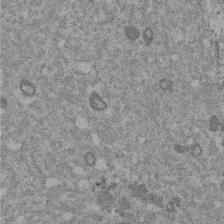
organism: Mouse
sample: Dividing mouse embryo 1 cell stage